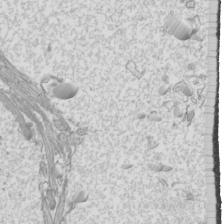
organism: Mouse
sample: Cilia; mouse epididymis